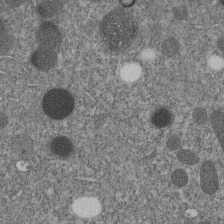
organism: C. elegans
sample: C. elegans embryo early stage